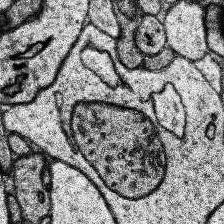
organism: Human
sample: Temporal Lobe